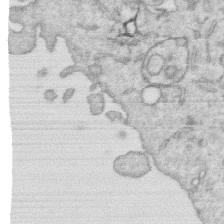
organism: Human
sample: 1205lu cells